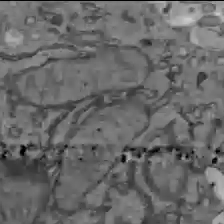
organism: C57BL Mouse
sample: Liver